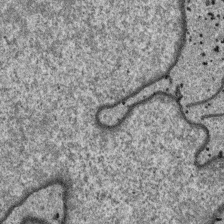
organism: Human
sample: Lung epithelial cells, uninfected (mock) control